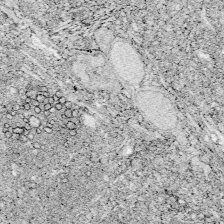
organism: Zebrafish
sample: Whole-Brain